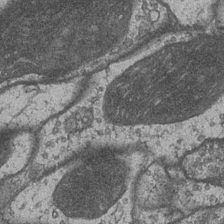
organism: Drosophila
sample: Optic medulla